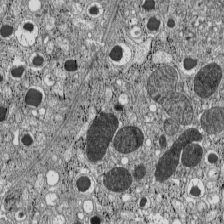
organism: C57BL Mouse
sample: Pancreatic islet